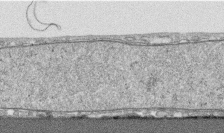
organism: Human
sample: CRL-1474